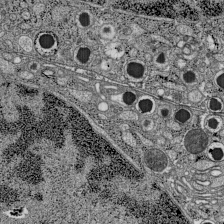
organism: C57BL Mouse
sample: Pancreatic islet